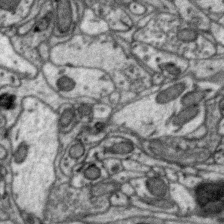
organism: Zebra finch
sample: Brain